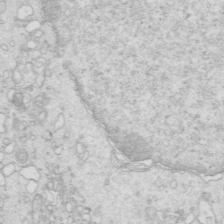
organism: Mouse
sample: Multiciliated cells